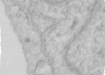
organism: Human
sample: Centriole in RPE cells